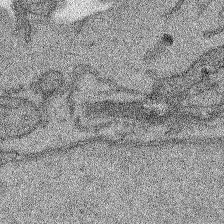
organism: Human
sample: HeLa cells